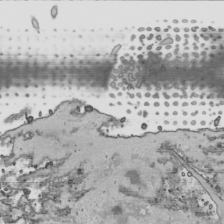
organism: Human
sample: Mitochondria in HCT116 cells